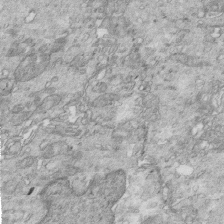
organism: Mouse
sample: Multiciliated cells